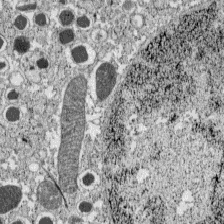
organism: C57BL Mouse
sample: Pancreatic islet